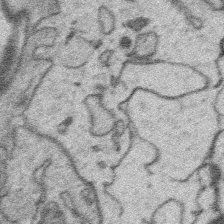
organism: Platynereis dumerilii